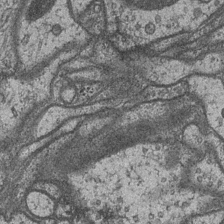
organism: Drosophila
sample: Optic medulla